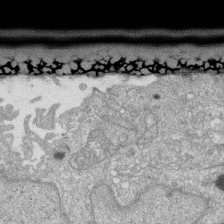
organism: Human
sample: HeLa cell HIV synapse